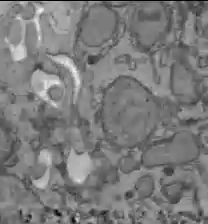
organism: C57BL Mouse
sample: Liver